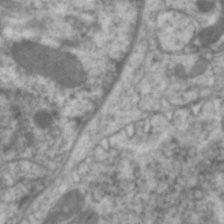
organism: C. elegans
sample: Pharynx